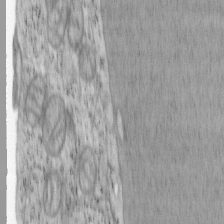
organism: Human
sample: HeLa cells